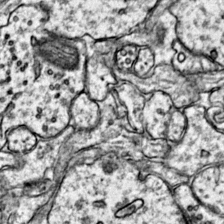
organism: Mouse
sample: Primary visual cortex